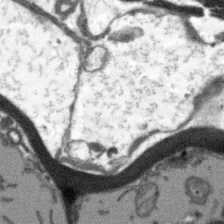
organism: Arabidopsis thaliana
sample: Root tip